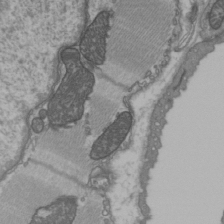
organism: C57BL Mouse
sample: Heart